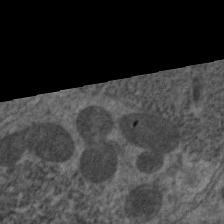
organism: C. elegans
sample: Pharynx